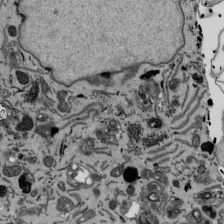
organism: Mouse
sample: ED-1 cell nuclei; centrioles